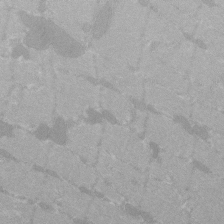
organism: C57BL Mouse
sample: Tibialis anterior muscle cell